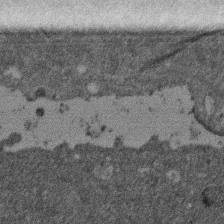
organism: Mouse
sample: Dividing mouse embryo 1 cell stage